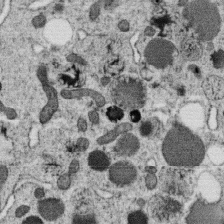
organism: C. elegans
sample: C. elegans oocyte; sperm cells